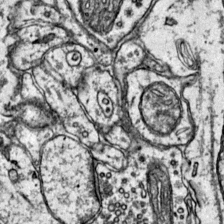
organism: Mouse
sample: Primary visual cortex